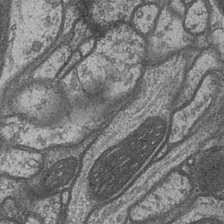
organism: Drosophila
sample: Optic medulla